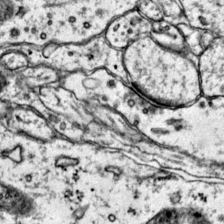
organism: Mouse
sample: Primary visual cortex